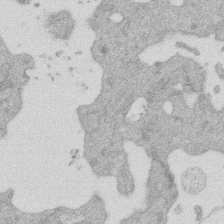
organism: Mouse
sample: Dividing mouse embryo 1 cell stage